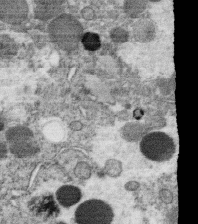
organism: C. elegans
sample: C. elegans oocyte; sperm cells